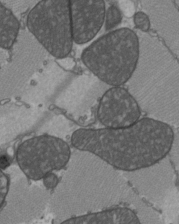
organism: C57BL Mouse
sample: Heart